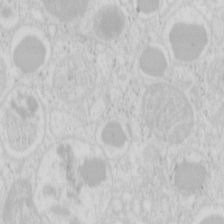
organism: Mouse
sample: Pancreas